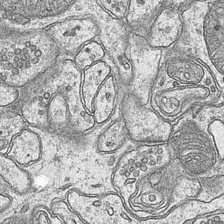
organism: Mouse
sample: CA1 Hippocampus